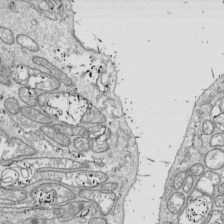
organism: Drosophila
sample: Cell division; meiosis; drosophila spermatocytes